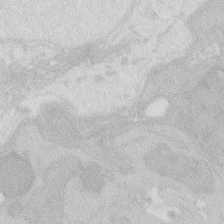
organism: Zebrafish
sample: Macrophage